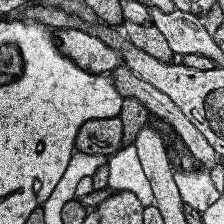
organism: Human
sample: Temporal Lobe